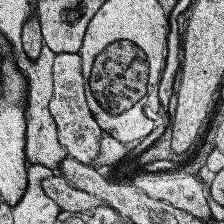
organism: Human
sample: Temporal Lobe